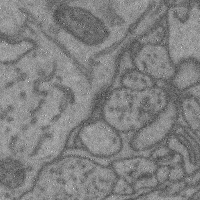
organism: Mouse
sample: Cerebral cortex